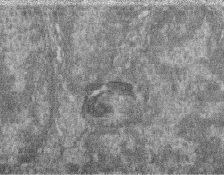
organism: Zebrafish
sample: Cilia; retinal pigment epithelium